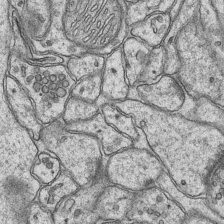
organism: Mouse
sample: CA1 Hippocampus